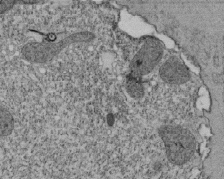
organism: Tetrahymena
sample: Cilia in tetrahymena